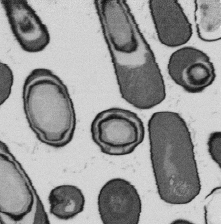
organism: B. subtilis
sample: Bacterial spore